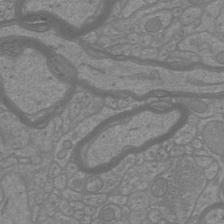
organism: Mouse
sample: Cortical neurons